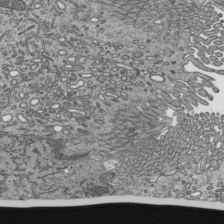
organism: Mouse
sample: Mouse epididymis efferent ductule cilia